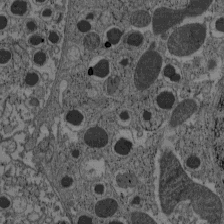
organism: C57BL Mouse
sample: Pancreatic islet